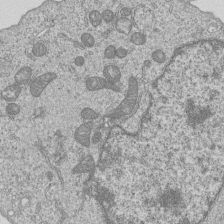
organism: Human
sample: MDA-MB-231 cells